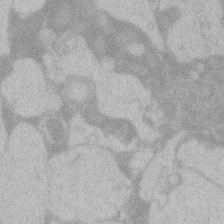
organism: Zebrafish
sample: Macrophage infected with Toxoplasma gondii